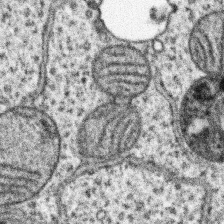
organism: Human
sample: HeLa cells